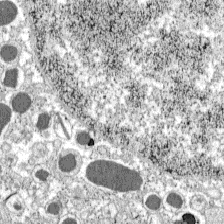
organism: C57BL Mouse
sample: Pancreatic islet